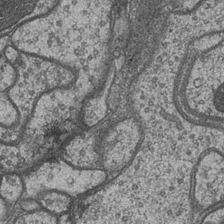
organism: Drosophila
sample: Optic medulla